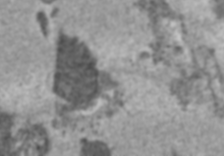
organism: C57BL Mouse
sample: Heart